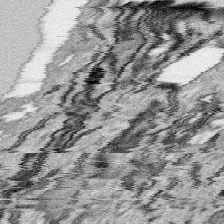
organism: Human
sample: HeLa cells